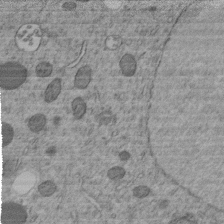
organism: C. elegans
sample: C. elegans embryo early stage